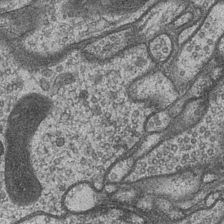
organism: Drosophila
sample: Optic medulla